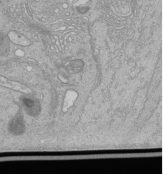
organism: Human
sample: Retinal organoid Rod and Cone cells